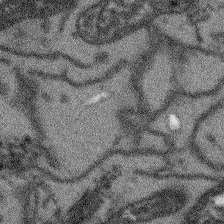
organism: Arabidopsis thaliana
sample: Root tip